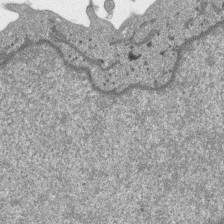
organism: Human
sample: Lung epithelial cells infected with SARS-CoV-2